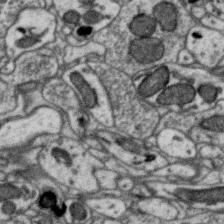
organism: Zebra finch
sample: Brain